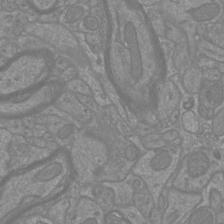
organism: Mouse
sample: Cortical neurons